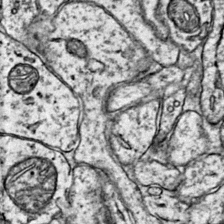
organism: Mouse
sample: Primary visual cortex